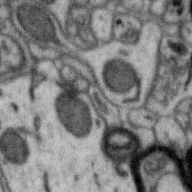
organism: Zebra finch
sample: Brain